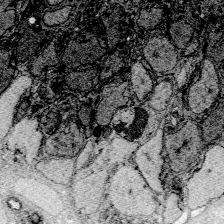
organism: Zebrafish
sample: Whole-Brain